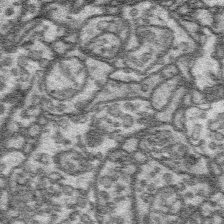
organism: Platynereis dumerilii